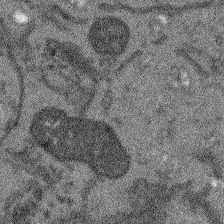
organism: Arabidopsis thaliana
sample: Root tip